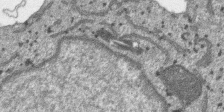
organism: Human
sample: Lung epithelial cells infected with SARS-CoV-2